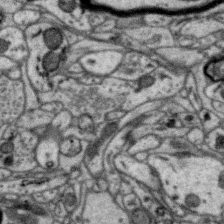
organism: Zebra finch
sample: Brain